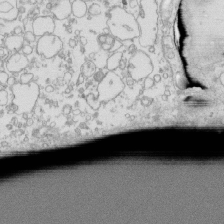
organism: Mouse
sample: Macrophages